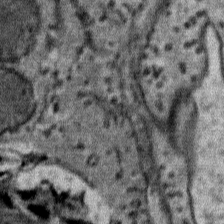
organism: Mouse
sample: Mouse Salivary gland